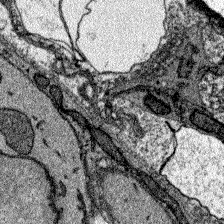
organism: Zebrafish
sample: Larval olfactory bulb